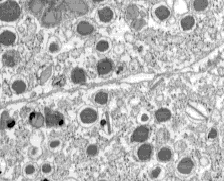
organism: C57BL Mouse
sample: Pancreatic islet